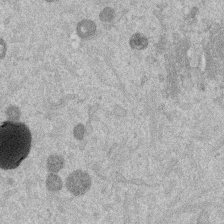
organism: Mouse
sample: Dividing mouse embryo 1 cell stage